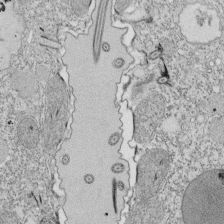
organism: Tetrahymena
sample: Cilia in tetrahymena